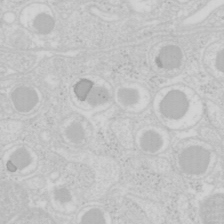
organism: Mouse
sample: Pancreas